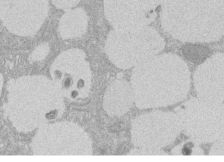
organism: Rat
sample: Salivary granule